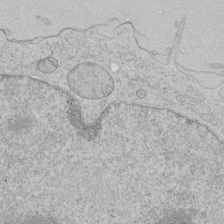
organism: Human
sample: Mitochondria in HCT116 cells